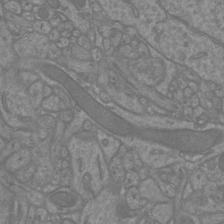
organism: Mouse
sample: Cortical neurons